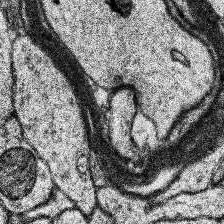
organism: Human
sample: Temporal Lobe